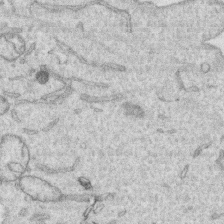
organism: Human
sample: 1205lu cells